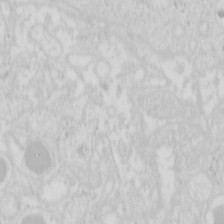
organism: Mouse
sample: Pancreas